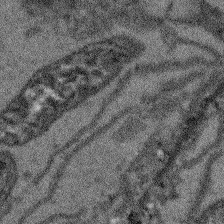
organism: Arabidopsis thaliana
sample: Root tip